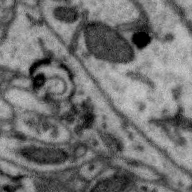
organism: Zebra finch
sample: Brain